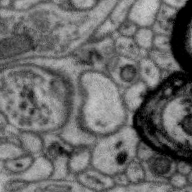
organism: Zebra finch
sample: Brain